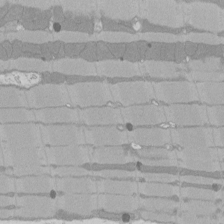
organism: Rat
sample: Left ventricle